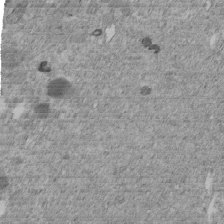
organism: C. elegans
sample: C. elegans embryo early stage